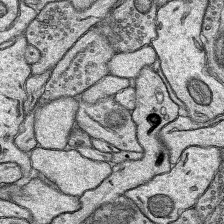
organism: Rat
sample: Hippocampus